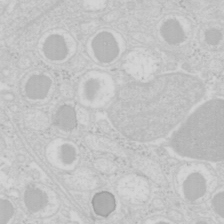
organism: Mouse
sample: Pancreas